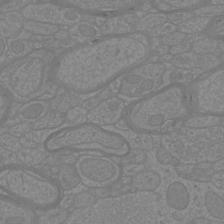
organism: Mouse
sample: Cortical neurons